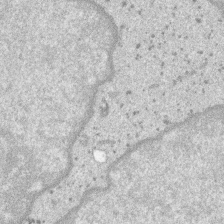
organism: Human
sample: Lung epithelial cells infected with SARS-CoV-2